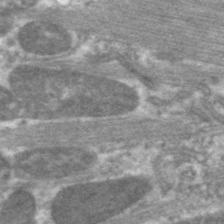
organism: C. elegans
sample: Pharynx